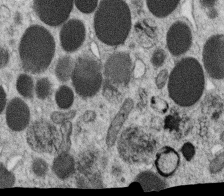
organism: C. elegans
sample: C. elegans oocyte; sperm cells